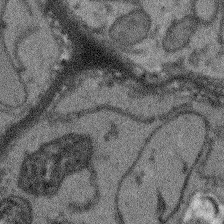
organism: Arabidopsis thaliana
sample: Root tip